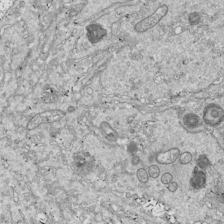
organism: Drosophila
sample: Cell division; meiosis; drosophila spermatocytes